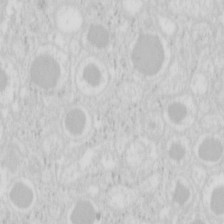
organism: Mouse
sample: Pancreas